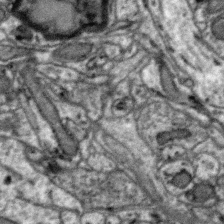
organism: Zebra finch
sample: Brain